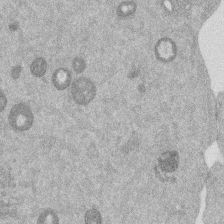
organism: Mouse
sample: Dividing mouse embryo 1 cell stage